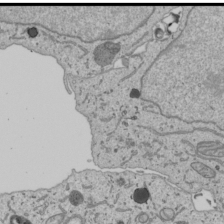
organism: Human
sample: Mitochondria in U2OS cells